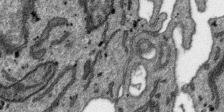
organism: Human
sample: Lung epithelial cells, uninfected (mock) control